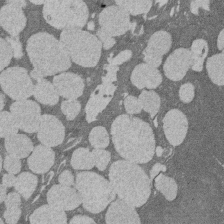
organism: Rat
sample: Salivary granule